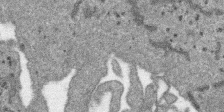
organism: Human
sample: Lung epithelial cells infected with SARS-CoV-2